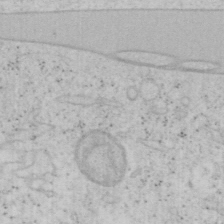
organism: Human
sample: HeLa cells